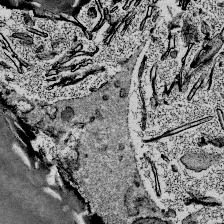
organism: Mouse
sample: Mouse Salivary gland